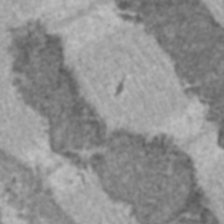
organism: C57BL Mouse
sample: Heart